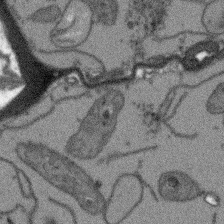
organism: Arabidopsis thaliana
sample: Root tip